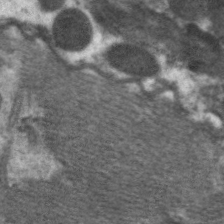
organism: C. elegans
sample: Pharynx